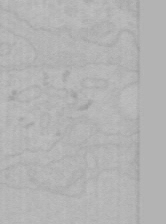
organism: Mouse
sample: Choroid plexus